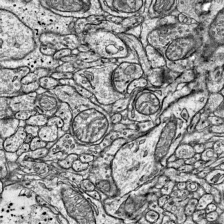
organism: Mouse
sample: Visual Cortex